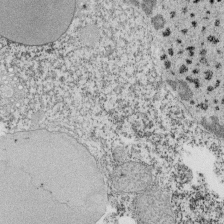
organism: Tetrahymena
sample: Cilia in tetrahymena